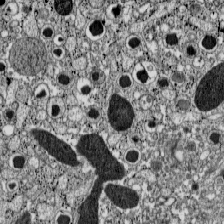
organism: C57BL Mouse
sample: Pancreatic islet